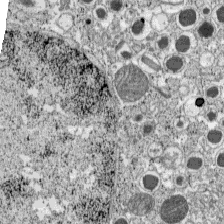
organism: C57BL Mouse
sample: Pancreatic islet